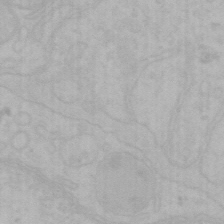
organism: Mouse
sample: Choroid plexus